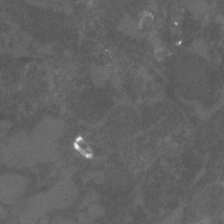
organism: C. elegans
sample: C. elegans embryo